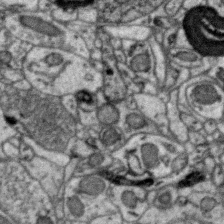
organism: Zebra finch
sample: Brain